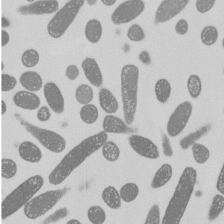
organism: E. coli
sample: Bacterial nucleoid